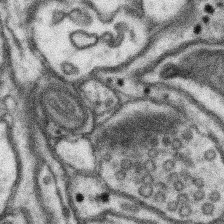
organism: Mouse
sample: Somatosensory cortex neuropil